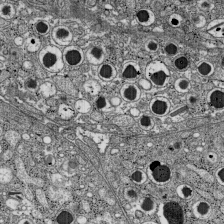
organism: C57BL Mouse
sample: Pancreatic islet